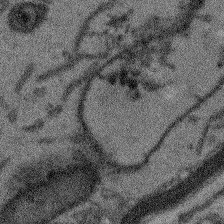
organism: Arabidopsis thaliana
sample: Root tip